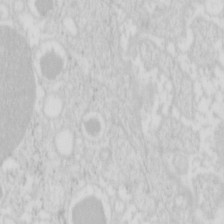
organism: Mouse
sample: Pancreas